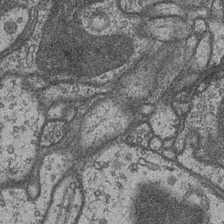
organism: Drosophila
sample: Optic medulla